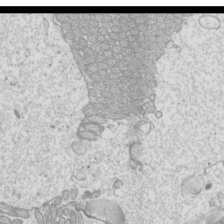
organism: Mouse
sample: Cilia; mouse epididymis